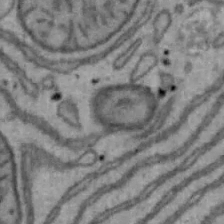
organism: Mouse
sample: Liver